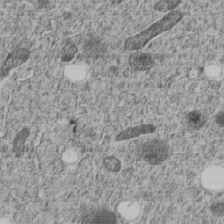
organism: C. elegans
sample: C. elegans embryo early stage